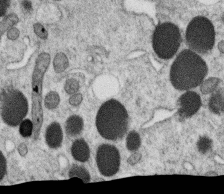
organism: C. elegans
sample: C. elegans oocyte; sperm cells